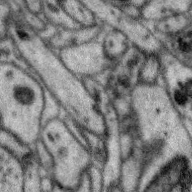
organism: Zebra finch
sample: Brain